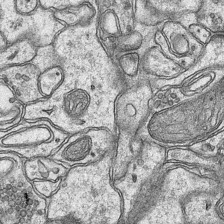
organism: Mouse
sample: CA1 Hippocampus